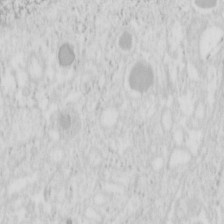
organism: Mouse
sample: Pancreas